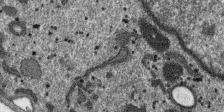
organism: Human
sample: Lung epithelial cells infected with SARS-CoV-2